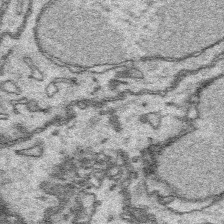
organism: Platynereis dumerilii